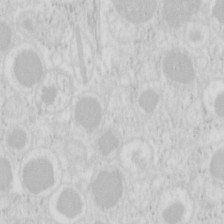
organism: Mouse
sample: Pancreas